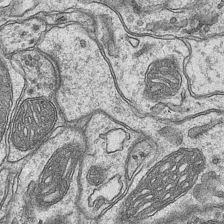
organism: Mouse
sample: CA1 Hippocampus